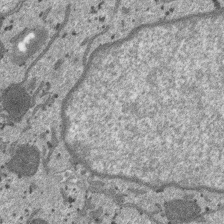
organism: Human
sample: Lung epithelial cells infected with SARS-CoV-2